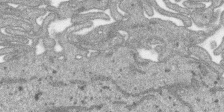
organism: Human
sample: Lung epithelial cells infected with SARS-CoV-2